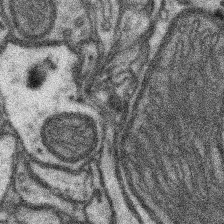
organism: Mouse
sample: Somatosensory cortex neuropil